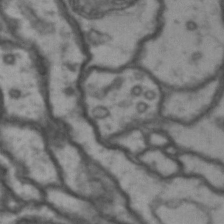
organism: Drosophila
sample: Brain